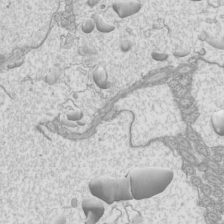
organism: Mouse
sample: Cilia; mouse epididymis